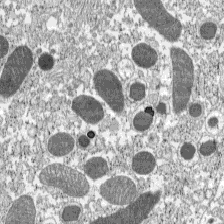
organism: C57BL Mouse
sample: Pancreatic islet